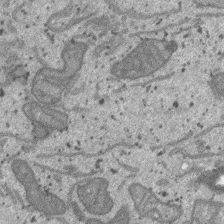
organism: Human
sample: Lung epithelial cells infected with SARS-CoV-2